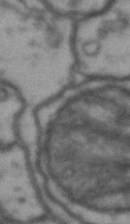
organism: Drosophila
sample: Brain